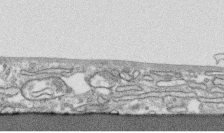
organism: Human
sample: CRL-1474